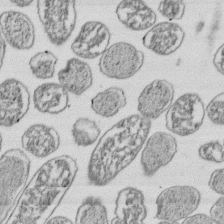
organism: E. coli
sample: Bacterial nucleoid